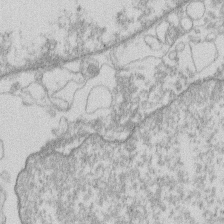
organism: Human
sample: Macrophage cells